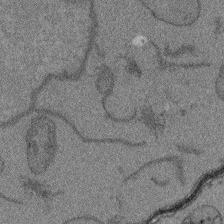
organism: Arabidopsis thaliana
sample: Root tip